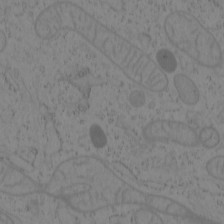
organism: Human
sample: HeLa cells